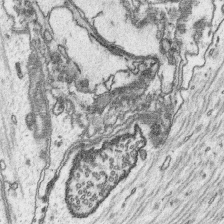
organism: Platynereis dumerilii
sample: Parapodia